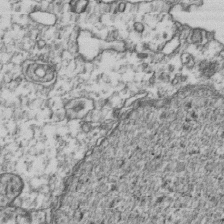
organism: Human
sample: Activated Jurkat CD4+ T cells